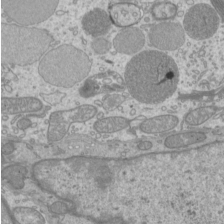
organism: Mouse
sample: Cilia; mouse epididymis